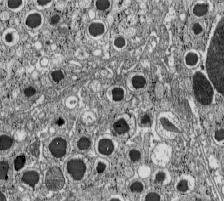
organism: C57BL Mouse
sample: Pancreatic islet